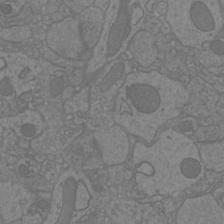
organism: Mouse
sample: Cortical neurons